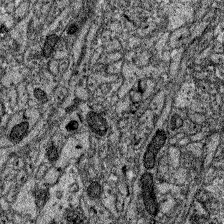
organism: Zebrafish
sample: Larval olfactory bulb